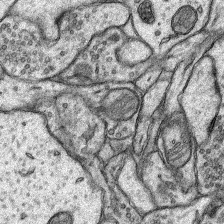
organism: Rat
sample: Hippocampus